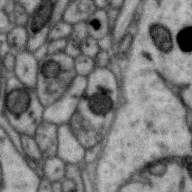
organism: Zebra finch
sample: Brain